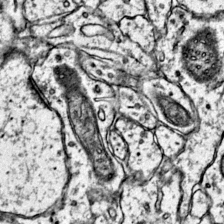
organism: Mouse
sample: Primary visual cortex